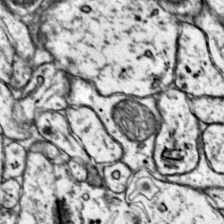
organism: Mouse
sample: Primary visual cortex